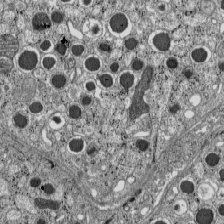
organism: C57BL Mouse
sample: Pancreatic islet